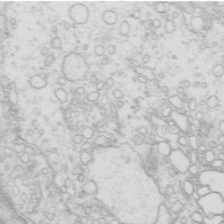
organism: Mouse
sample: Multiciliated cells